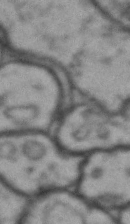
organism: Drosophila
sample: Brain